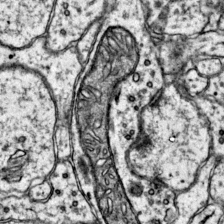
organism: Mouse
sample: Primary visual cortex